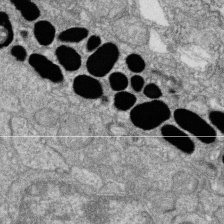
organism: Zebrafish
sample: Cilia; retinal pigment epithelium